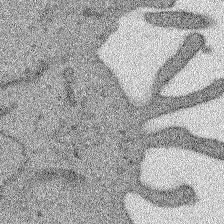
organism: Human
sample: HeLa cells